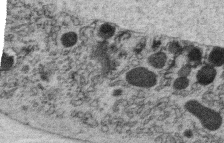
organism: C. elegans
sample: C. elegans oocyte; sperm cells